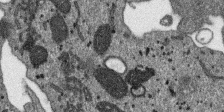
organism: Human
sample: Lung epithelial cells infected with SARS-CoV-2